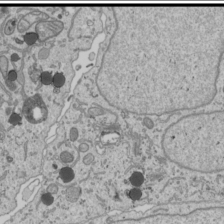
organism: Human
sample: Mitochondria in U2OS cells